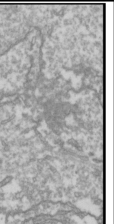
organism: Drosophila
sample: Cell division; meiosis; drosophila spermatocytes